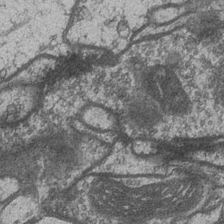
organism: Drosophila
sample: Optic medulla